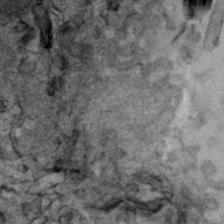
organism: Human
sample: Mitochondria in HCT116 cells